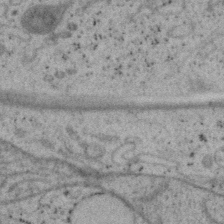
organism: Human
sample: HeLa cells